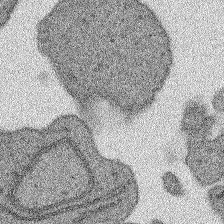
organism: Human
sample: HeLa cells